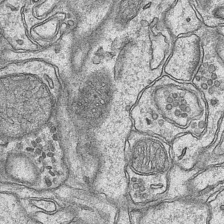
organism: Mouse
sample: CA1 Hippocampus